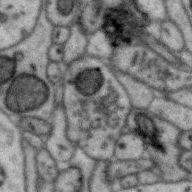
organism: Zebra finch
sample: Brain